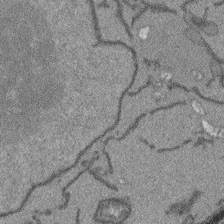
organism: Arabidopsis thaliana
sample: Root tip